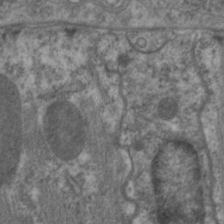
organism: C. elegans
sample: Pharynx